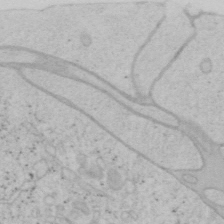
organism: Human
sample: HeLa cells